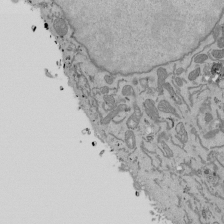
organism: Mouse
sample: ED-1 cell nuclei; centrioles